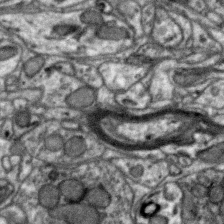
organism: Zebra finch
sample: Brain